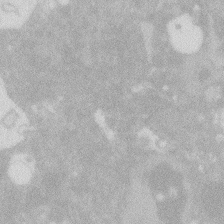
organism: Zebrafish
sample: Macrophage